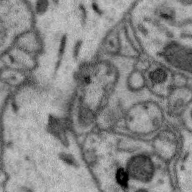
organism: Zebra finch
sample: Brain